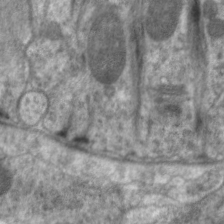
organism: C. elegans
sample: Pharynx